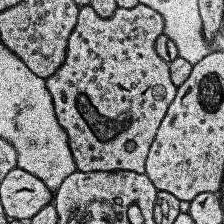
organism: Human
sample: Temporal Lobe